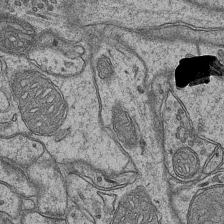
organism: Mouse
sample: CA1 Hippocampus